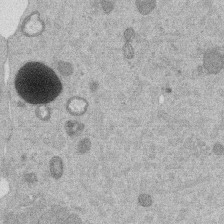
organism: Mouse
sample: Dividing mouse embryo 1 cell stage